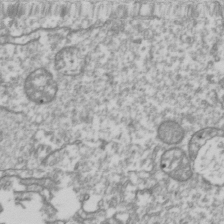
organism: Drosophila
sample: Cell division; meiosis; drosophila spermatocytes